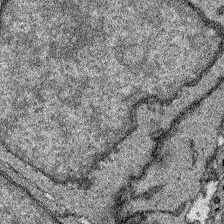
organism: Zebrafish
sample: Larval olfactory bulb